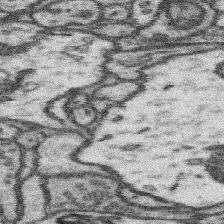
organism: Mouse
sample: Somatosensory cortex neuropil